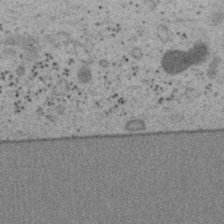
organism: Human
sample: HeLa cells